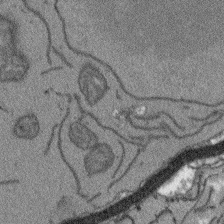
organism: Arabidopsis thaliana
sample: Root tip